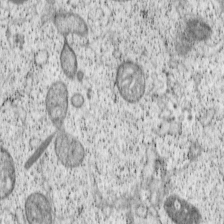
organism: African green monkey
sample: COS-7 cells